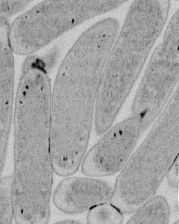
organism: E. coli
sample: Bacterial nucleoid